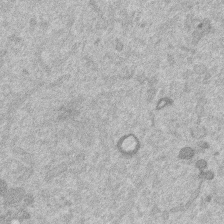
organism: Mouse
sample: Dividing mouse embryo 1 cell stage